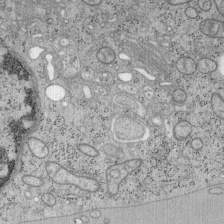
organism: Mouse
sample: OT-I killer T cells with ID8 ovarian cancer cells